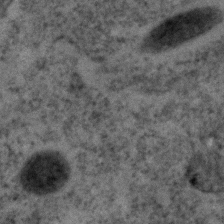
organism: C. elegans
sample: C. elegans embryo